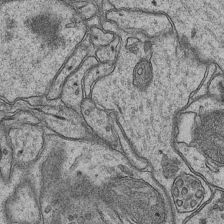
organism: Mouse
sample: CA1 Hippocampus